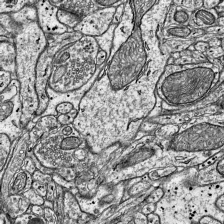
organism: Mouse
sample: Visual Cortex